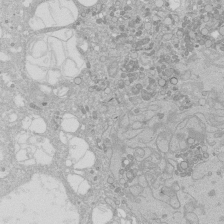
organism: Human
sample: Caco-2 cells